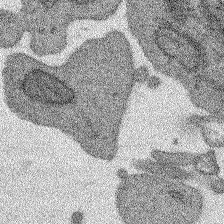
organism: Human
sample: HeLa cells